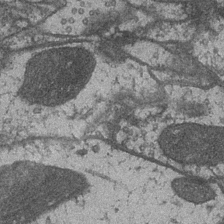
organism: Drosophila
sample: Optic medulla